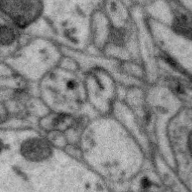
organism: Zebra finch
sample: Brain